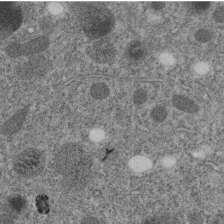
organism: C. elegans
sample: C. elegans embryo early stage